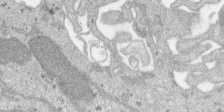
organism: Human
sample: Lung epithelial cells infected with SARS-CoV-2